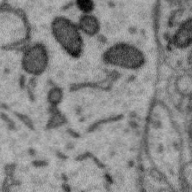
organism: Zebra finch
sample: Brain